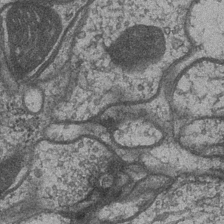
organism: Drosophila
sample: Optic medulla